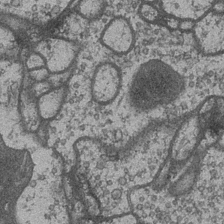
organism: Drosophila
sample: Optic medulla